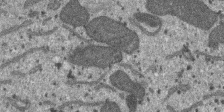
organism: Human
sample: Lung epithelial cells infected with SARS-CoV-2